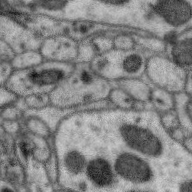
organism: Zebra finch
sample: Brain